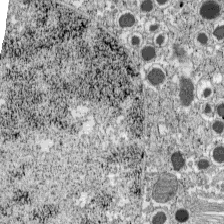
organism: C57BL Mouse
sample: Pancreatic islet